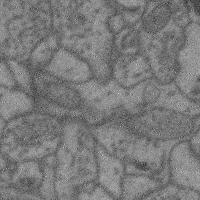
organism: Mouse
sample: Cerebral cortex